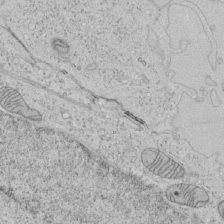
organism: Human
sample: Mitochondria in HCT116 cells